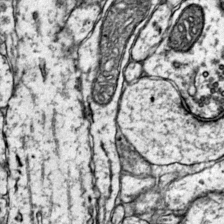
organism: Mouse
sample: Primary visual cortex